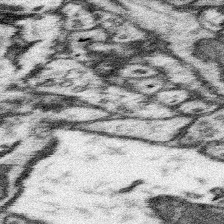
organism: Mouse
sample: Somatosensory cortex neuropil